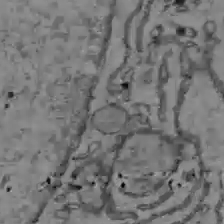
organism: C57BL Mouse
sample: Liver